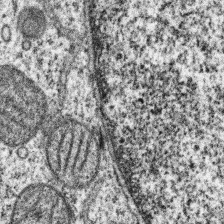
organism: Human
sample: HeLa cells